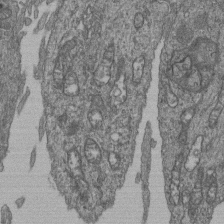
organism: Human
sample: Retinal organoid Rod and Cone cells